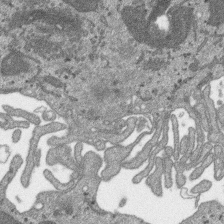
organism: Human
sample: Lung epithelial cells infected with SARS-CoV-2